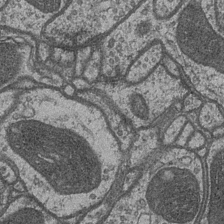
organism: Drosophila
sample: Optic medulla